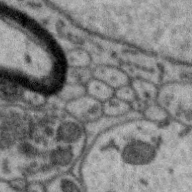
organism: Zebra finch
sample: Brain